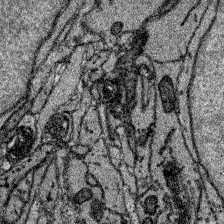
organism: Zebrafish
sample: Larval olfactory bulb